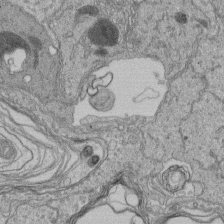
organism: Human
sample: Retinal organoid Rod and Cone cells